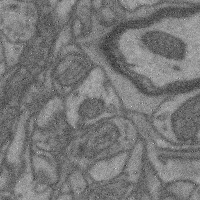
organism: Mouse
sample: Cerebral cortex